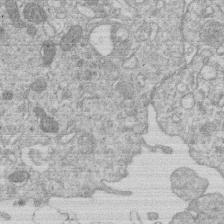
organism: Human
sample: Macrophage cells